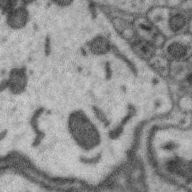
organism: Zebra finch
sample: Brain